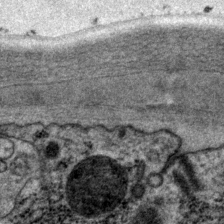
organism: P. pacificus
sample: Pharynx